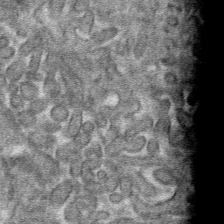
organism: Mouse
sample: Mouse hepatocytes